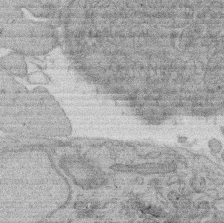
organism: Rat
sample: Salivary granule